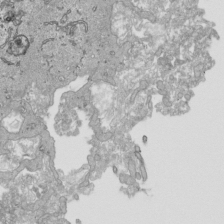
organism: Human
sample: Mitochondria in HCT116 cells